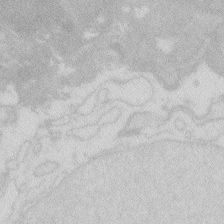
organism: Zebrafish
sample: Macrophage